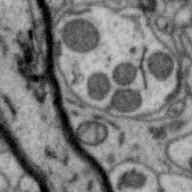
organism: Zebra finch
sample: Brain